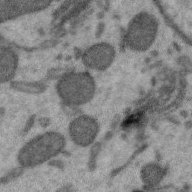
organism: Zebra finch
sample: Brain